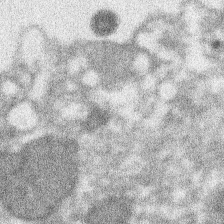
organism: Xenopus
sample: Cilia; centrioles in frog embryo cells